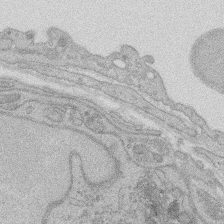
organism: Rat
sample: Salivary granule